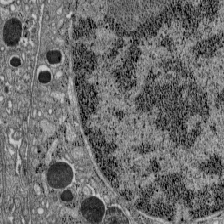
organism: C57BL Mouse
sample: Pancreatic islet